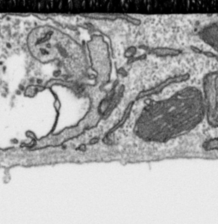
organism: Toxoplasma gondii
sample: Parasites in a vacuole inside a host cell